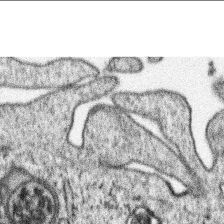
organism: Human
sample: HeLa cells